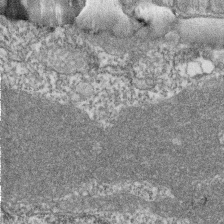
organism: Zebrafish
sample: Cilia; retinal pigment epithelium